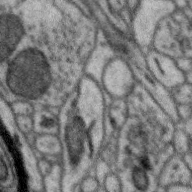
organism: Zebra finch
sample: Brain